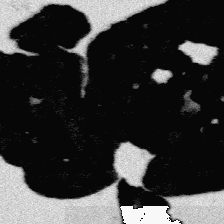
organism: Platynereis dumerilii